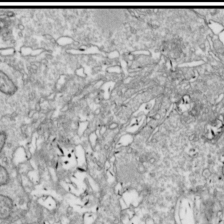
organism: Drosophila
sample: Cell division; meiosis; drosophila spermatocytes